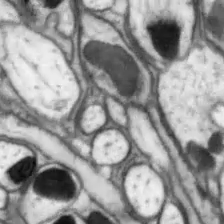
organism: Drosophila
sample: Optic lobe